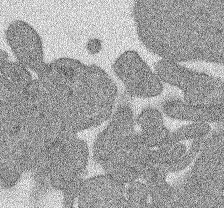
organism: Human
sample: HeLa cells